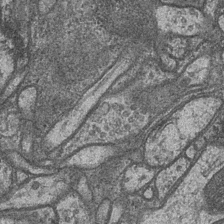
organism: Drosophila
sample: Optic medulla